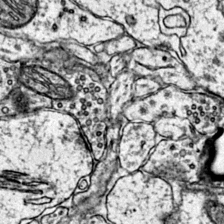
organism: Mouse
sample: Primary visual cortex